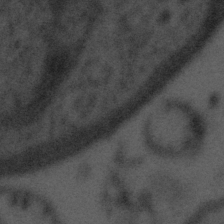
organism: Tuwongella immobilis